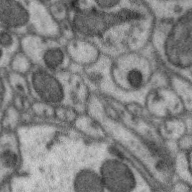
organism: Zebra finch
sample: Brain